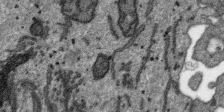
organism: Human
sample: Lung epithelial cells, uninfected (mock) control